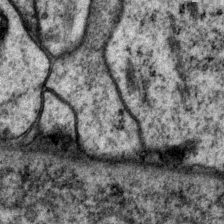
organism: P. pacificus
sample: Pharynx